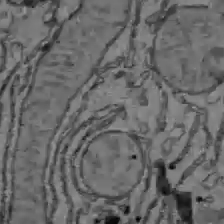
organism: C57BL Mouse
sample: Liver